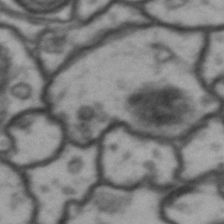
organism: Drosophila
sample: Brain